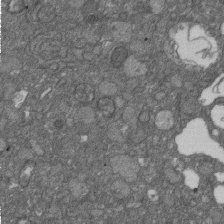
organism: Drosophila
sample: Nephrocyte